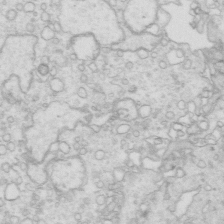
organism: Mouse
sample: Multiciliated cells